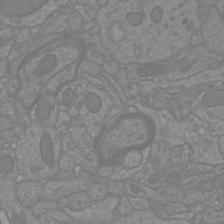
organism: Mouse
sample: Cortical neurons